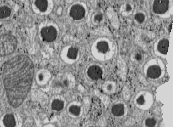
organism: C57BL Mouse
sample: Pancreatic islet